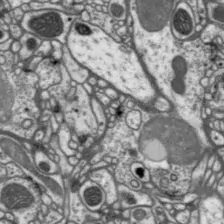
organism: Drosophila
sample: Protocerebral bridge